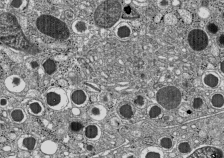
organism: C57BL Mouse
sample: Pancreatic islet